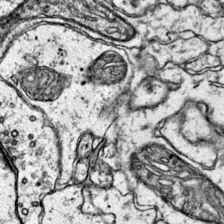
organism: Mouse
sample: Primary visual cortex